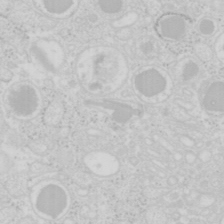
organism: Mouse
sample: Pancreas